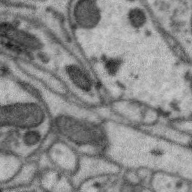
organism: Zebra finch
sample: Brain